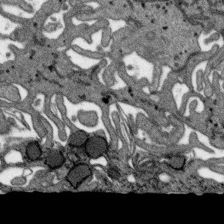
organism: Human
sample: Lung epithelial cells, uninfected (mock) control